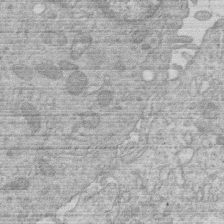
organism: Human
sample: Macrophage cells